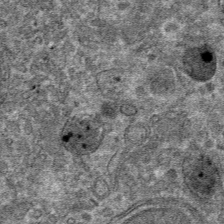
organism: Mouse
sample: Mouse hepatocytes